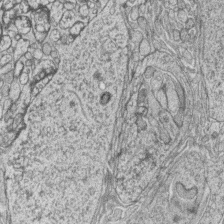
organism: Zebrafish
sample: synaptic ribbons in rod cells and cone cells